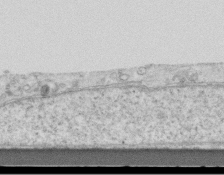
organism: Mouse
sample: Centriole in ependymal cells